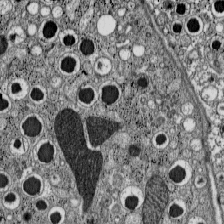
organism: C57BL Mouse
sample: Pancreatic islet